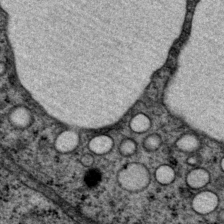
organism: P. pacificus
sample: Pharynx